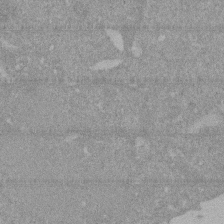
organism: Mouse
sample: ED-1 cell nuclei; centrioles